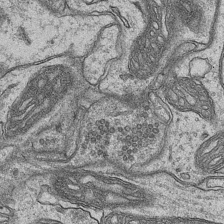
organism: Mouse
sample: CA1 Hippocampus